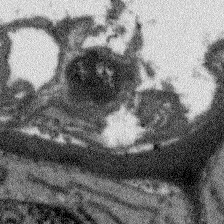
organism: Arabidopsis thaliana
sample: Root tip